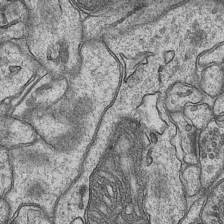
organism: Mouse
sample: CA1 Hippocampus